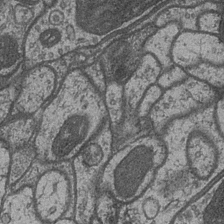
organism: Drosophila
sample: Optic medulla